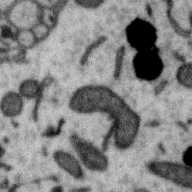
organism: Zebra finch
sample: Brain